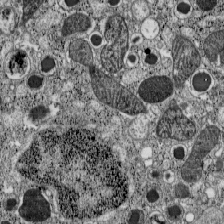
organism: C57BL Mouse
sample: Pancreatic islet